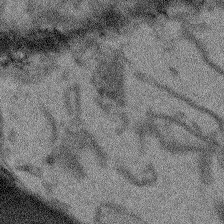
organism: Arabidopsis thaliana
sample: Root tip